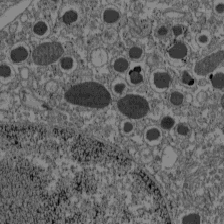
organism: C57BL Mouse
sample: Pancreatic islet